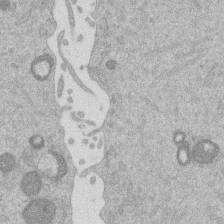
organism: Mouse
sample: Dividing mouse embryo 1 cell stage